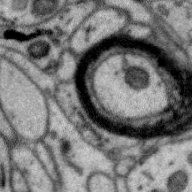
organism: Zebra finch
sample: Brain